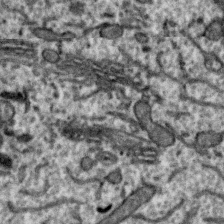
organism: Zebra finch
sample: Brain